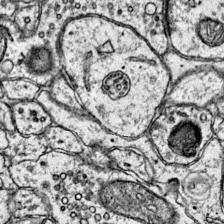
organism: Mouse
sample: Primary visual cortex